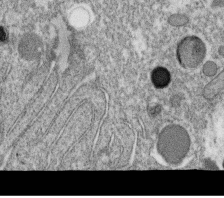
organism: C. elegans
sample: C. elegans oocyte; sperm cells